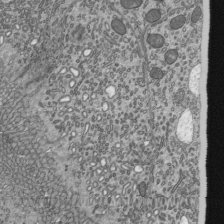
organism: Mouse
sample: Mouse epididymis efferent ductule cilia